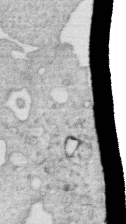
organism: Human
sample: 1205lu cells